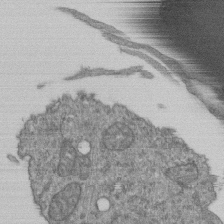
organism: Human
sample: Retinal organoid Rod and Cone cells